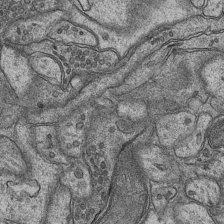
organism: Mouse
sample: CA1 Hippocampus